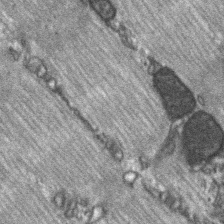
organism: C57BL Mouse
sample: Soleus